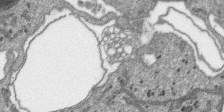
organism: Human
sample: Lung epithelial cells infected with SARS-CoV-2